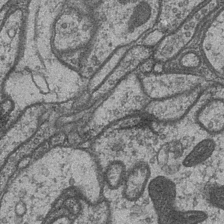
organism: Drosophila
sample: Optic medulla